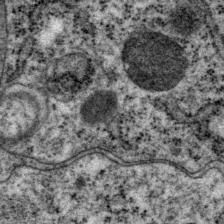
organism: P. pacificus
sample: Pharynx